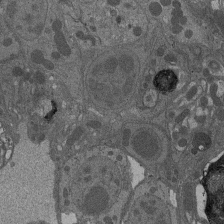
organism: Drosophila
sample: Antenna